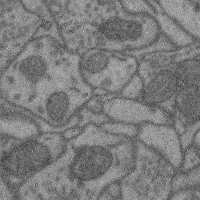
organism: Mouse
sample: Cerebral cortex